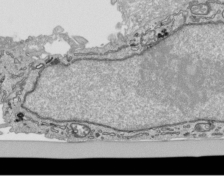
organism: Human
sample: Mitochondria in HCT116 cells